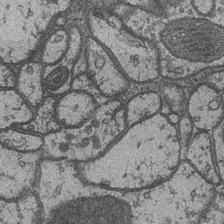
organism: Drosophila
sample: Optic medulla